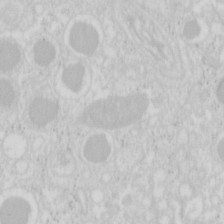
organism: Mouse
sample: Pancreas